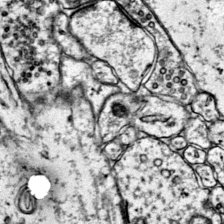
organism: Mouse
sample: Primary visual cortex